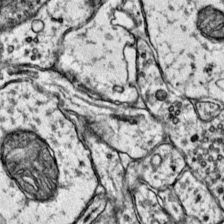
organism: Mouse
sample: Primary visual cortex